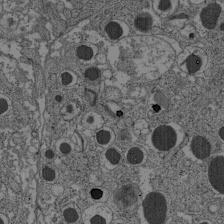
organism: C57BL Mouse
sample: Pancreatic islet